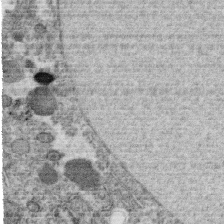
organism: C. elegans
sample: C. elegans oocyte; sperm cells